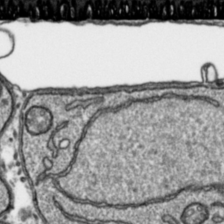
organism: Toxoplasma gondii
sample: Parasites in a vacuole inside a host cell